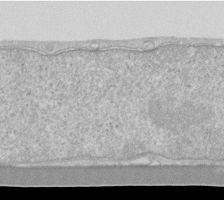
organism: Human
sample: Fibroblast cells